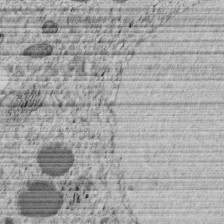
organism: C. elegans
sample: C. elegans embryo early stage